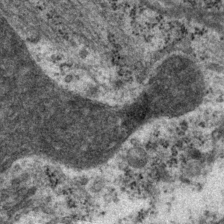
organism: P. pacificus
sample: Pharynx